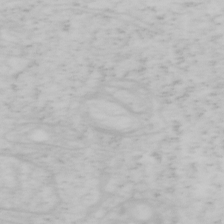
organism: Mouse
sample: OT-I killer T cells with ID8 ovarian cancer cells